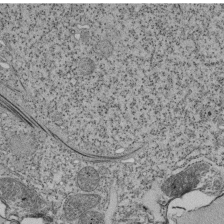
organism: Tetrahymena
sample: Cilia in tetrahymena